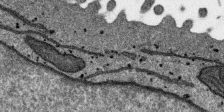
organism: Human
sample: Lung epithelial cells, uninfected (mock) control